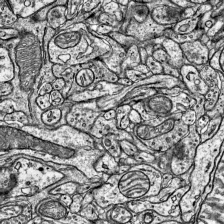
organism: Mouse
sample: Visual Cortex